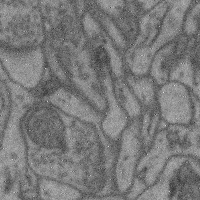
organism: Mouse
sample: Cerebral cortex